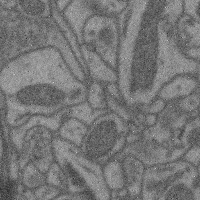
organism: Mouse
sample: Cerebral cortex